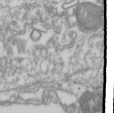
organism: Drosophila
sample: Cell division; meiosis; drosophila spermatocytes